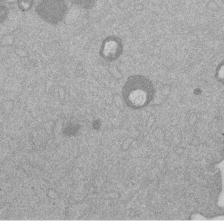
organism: Mouse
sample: Dividing mouse embryo 1 cell stage